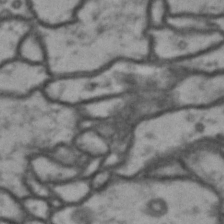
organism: Drosophila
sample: Brain